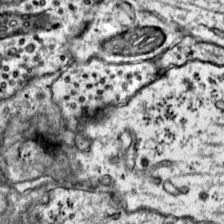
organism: Mouse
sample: Primary visual cortex